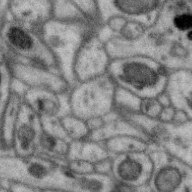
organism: Zebra finch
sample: Brain